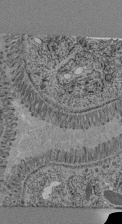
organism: C. elegans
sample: C. elegans pharynx